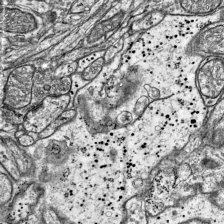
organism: Mouse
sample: Visual Cortex